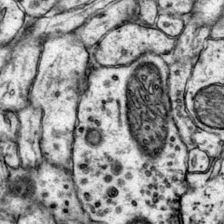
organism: Mouse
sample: Primary visual cortex